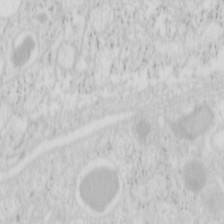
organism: Mouse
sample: Pancreas